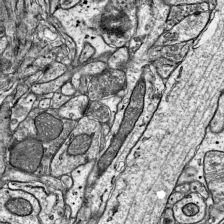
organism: Mouse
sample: Visual Cortex